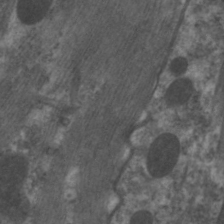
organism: C. elegans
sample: Pharynx